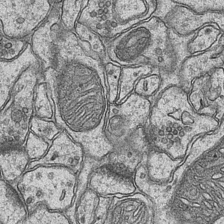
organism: Mouse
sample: CA1 Hippocampus